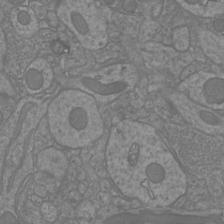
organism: Mouse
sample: Cortical neurons